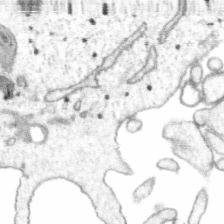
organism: Human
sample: HeLa cells